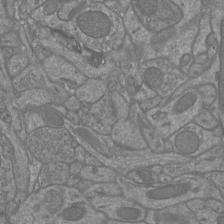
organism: Mouse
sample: Cortical neurons